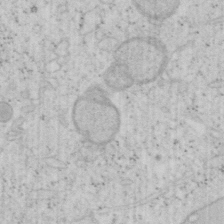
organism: Human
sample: HeLa cells